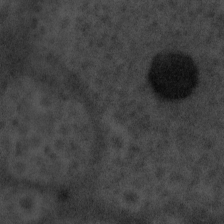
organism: Tuwongella immobilis